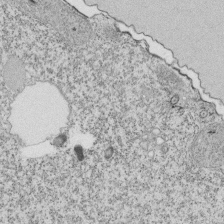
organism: Tetrahymena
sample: Cilia in tetrahymena